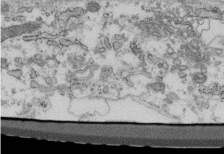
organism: Mouse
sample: Cilia; retinal pigment epithelium